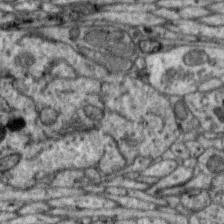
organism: Zebra finch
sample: Brain